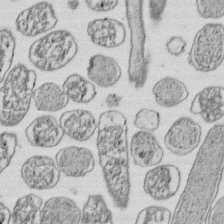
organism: E. coli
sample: Bacterial nucleoid